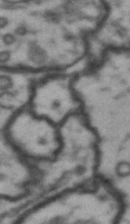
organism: Drosophila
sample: Brain